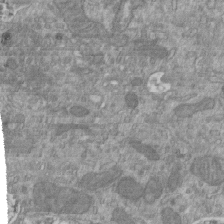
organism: Mouse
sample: ED-1 cell nuclei; centrioles